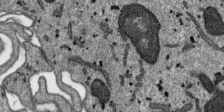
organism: Human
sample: Lung epithelial cells, uninfected (mock) control